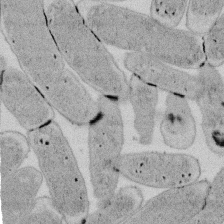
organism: E. coli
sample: Bacterial nucleoid